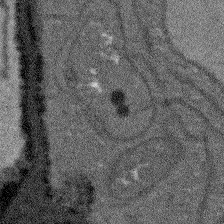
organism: Arabidopsis thaliana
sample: Root tip